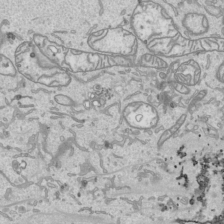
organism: Human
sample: Mitochondria in HCT116 cells